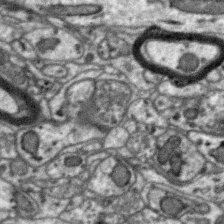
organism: Zebra finch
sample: Brain